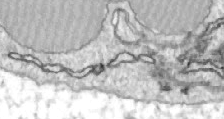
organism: Zebrafish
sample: Actinotrichia fibers